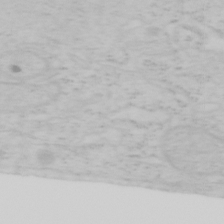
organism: Mouse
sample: OT-I killer T cells with ID8 ovarian cancer cells